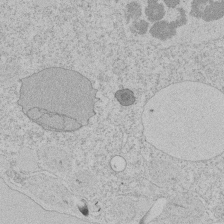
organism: Tetrahymena